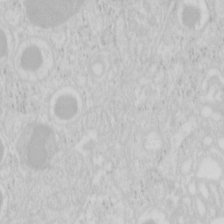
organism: Mouse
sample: Pancreas